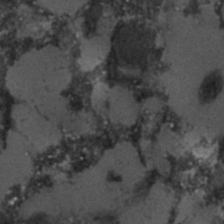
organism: C. elegans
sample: C. elegans embryo